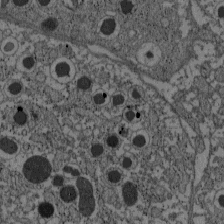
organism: C57BL Mouse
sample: Pancreatic islet